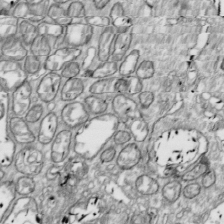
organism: Drosophila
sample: Cell division; meiosis; drosophila spermatocytes